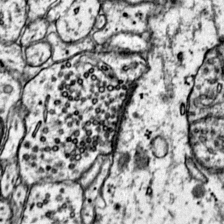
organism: Mouse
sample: Primary visual cortex